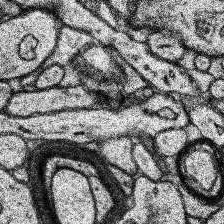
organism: Human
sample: Temporal Lobe